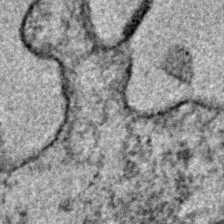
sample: Trachea